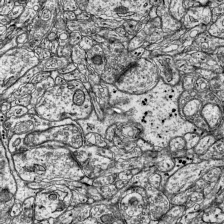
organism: Mouse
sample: Visual Cortex